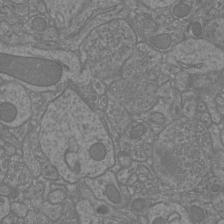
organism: Mouse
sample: Cortical neurons